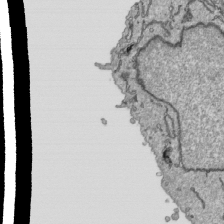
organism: Human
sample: Mitochondria in HCT116 cells